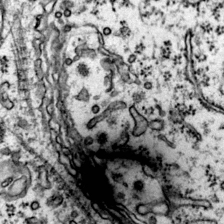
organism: Mouse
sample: Primary visual cortex